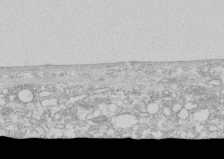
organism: Human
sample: CRL-1474